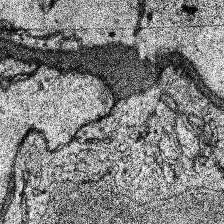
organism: Human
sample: Temporal Lobe